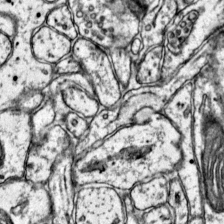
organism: Mouse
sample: Primary visual cortex